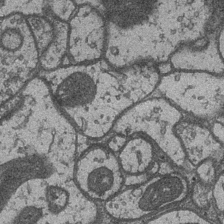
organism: Drosophila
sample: Optic medulla